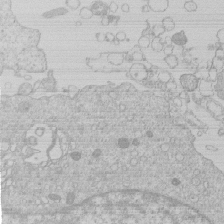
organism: Human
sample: Macrophage cells